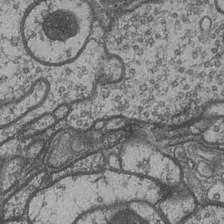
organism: Drosophila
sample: Optic medulla